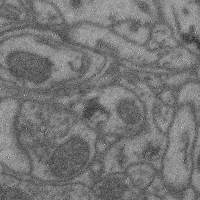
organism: Mouse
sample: Cerebral cortex